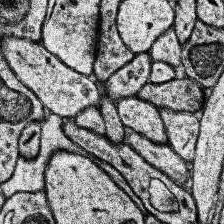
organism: Human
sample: Temporal Lobe